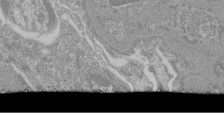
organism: Mouse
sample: Glomerulus